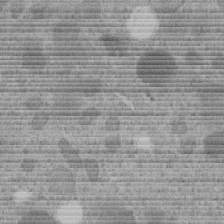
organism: C. elegans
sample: C. elegans embryo early stage